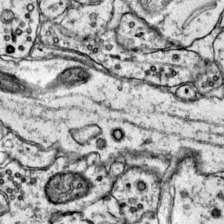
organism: Mouse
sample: Primary visual cortex